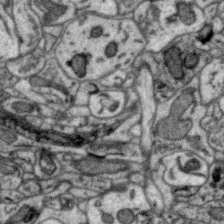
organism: Zebra finch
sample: Brain